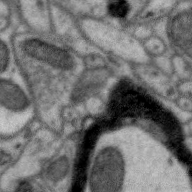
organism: Zebra finch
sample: Brain